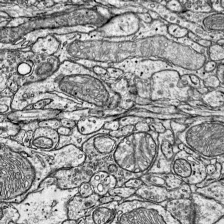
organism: Mouse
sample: Visual Cortex